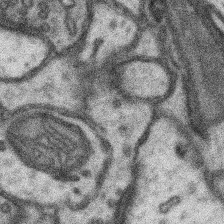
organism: Mouse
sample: Somatosensory cortex neuropil